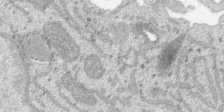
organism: Human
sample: Lung epithelial cells infected with SARS-CoV-2